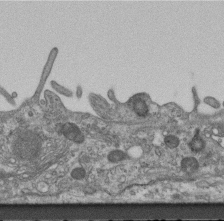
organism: Mouse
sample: Centriole in ependymal cells